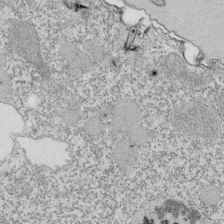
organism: Tetrahymena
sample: Cilia in tetrahymena